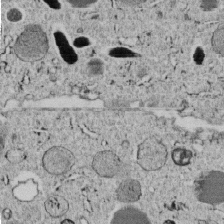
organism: C. elegans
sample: C. elegans embryo early stage